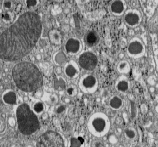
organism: C57BL Mouse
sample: Pancreatic islet